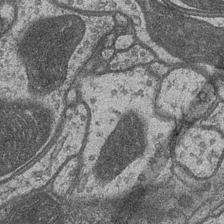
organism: Drosophila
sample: Optic medulla